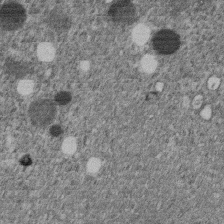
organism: C. elegans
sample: C. elegans embryo early stage